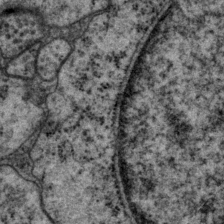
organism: P. pacificus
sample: Pharynx